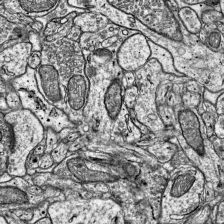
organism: Mouse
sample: Visual Cortex